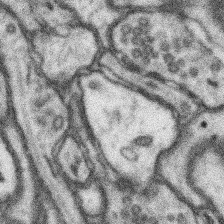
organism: Mouse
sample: Somatosensory cortex neuropil